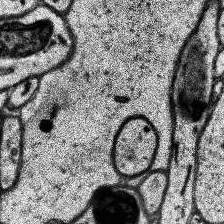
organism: Human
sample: Temporal Lobe